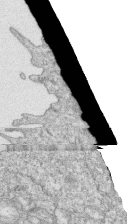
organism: Human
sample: HeLa cell HIV synapse